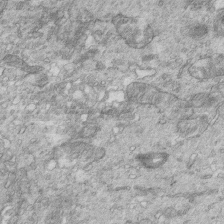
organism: Mouse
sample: Multiciliated cells